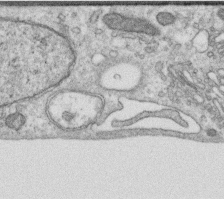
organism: Human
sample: Centriole in RPE cells